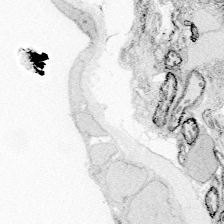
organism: Zebrafish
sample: Whole-Brain